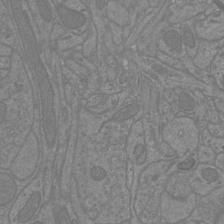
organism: Mouse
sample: Cortical neurons